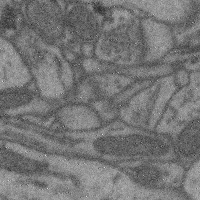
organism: Mouse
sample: Cerebral cortex